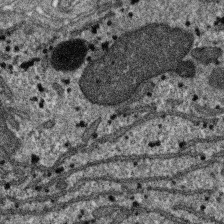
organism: Human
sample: Lung epithelial cells infected with SARS-CoV-2